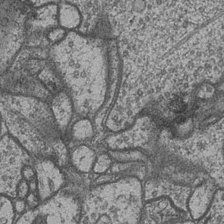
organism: Drosophila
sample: Optic medulla